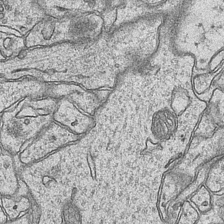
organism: Mouse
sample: CA1 Hippocampus